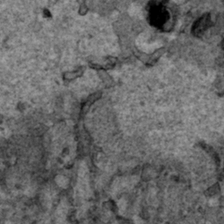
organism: Human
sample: Mitochondria in HCT116 cells